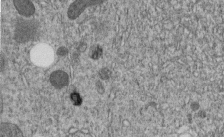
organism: C. elegans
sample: C. elegans embryo early stage